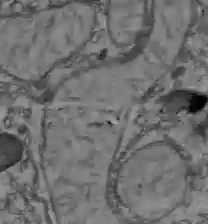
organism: C57BL Mouse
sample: Liver